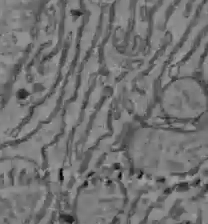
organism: C57BL Mouse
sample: Liver